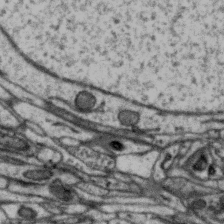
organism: Zebra finch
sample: Brain